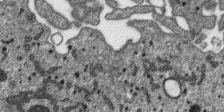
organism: Human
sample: Lung epithelial cells infected with SARS-CoV-2